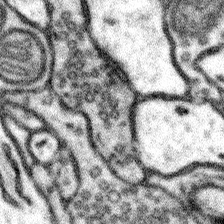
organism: Mouse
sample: Somatosensory cortex neuropil